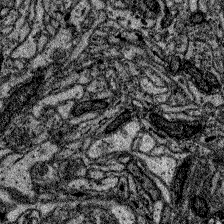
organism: Zebrafish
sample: Larval olfactory bulb